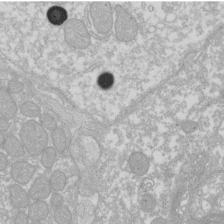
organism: Xenopus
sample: Cilia; centrioles in frog embryo cells